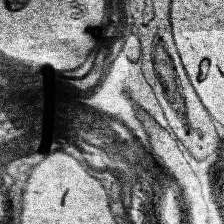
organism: Human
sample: Temporal Lobe